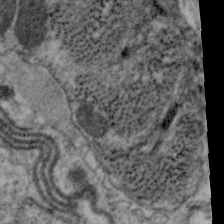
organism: C. elegans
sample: Pharynx